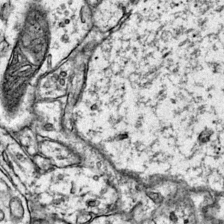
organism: Mouse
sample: Primary visual cortex